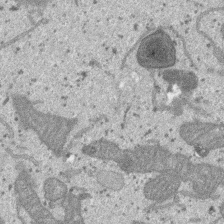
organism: Human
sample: Lung epithelial cells infected with SARS-CoV-2